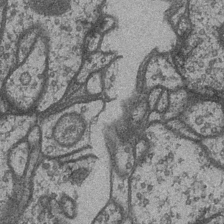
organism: Drosophila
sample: Optic medulla